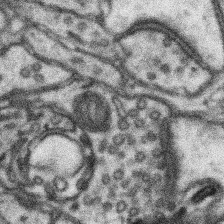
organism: Mouse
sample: Somatosensory cortex neuropil